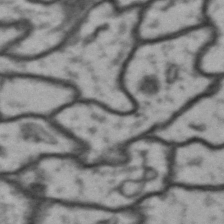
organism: Drosophila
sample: Brain